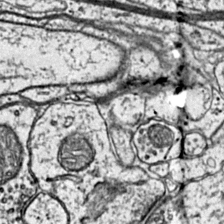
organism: Mouse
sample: Primary visual cortex